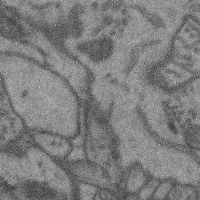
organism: Mouse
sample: Cerebral cortex